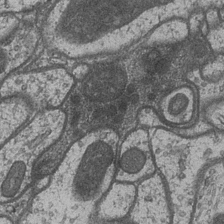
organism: Drosophila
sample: Optic medulla